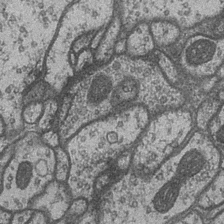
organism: Drosophila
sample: Optic medulla